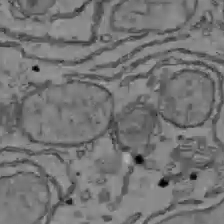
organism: C57BL Mouse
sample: Liver